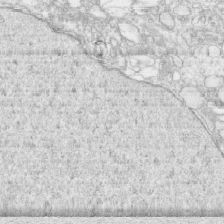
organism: Human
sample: CRL-1474